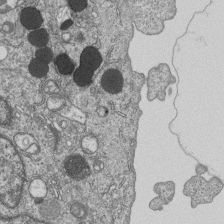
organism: Human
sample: MDA-MB-231 cells